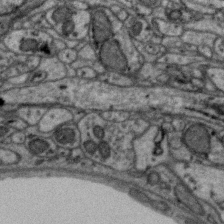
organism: Zebra finch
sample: Brain